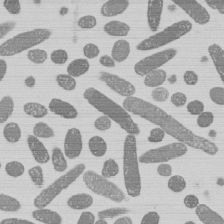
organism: E. coli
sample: Bacterial nucleoid